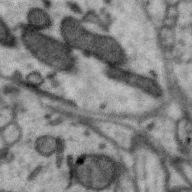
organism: Zebra finch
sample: Brain